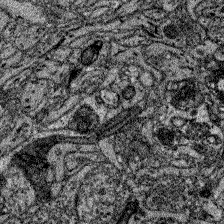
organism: Zebrafish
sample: Larval olfactory bulb